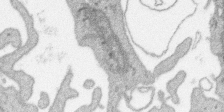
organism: Human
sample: Lung epithelial cells infected with SARS-CoV-2